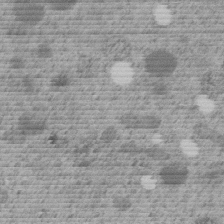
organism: C. elegans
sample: C. elegans embryo early stage